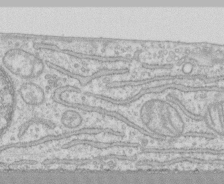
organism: Human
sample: CRL-1474